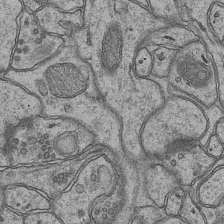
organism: Mouse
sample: CA1 Hippocampus